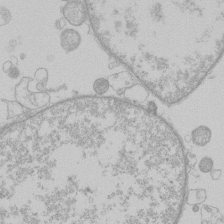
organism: Human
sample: Macrophage cells